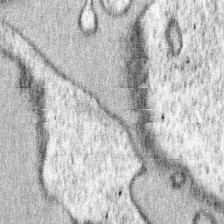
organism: Human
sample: HeLa cells